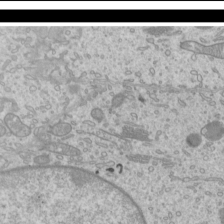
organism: Mouse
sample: Cilia; mouse epididymis